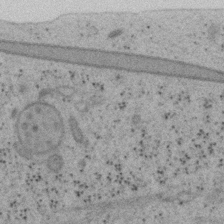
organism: Human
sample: HeLa cells